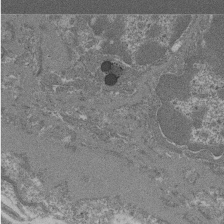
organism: Mouse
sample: Glomerulus